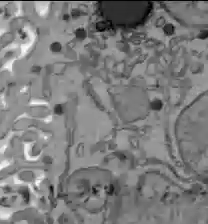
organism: C57BL Mouse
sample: Liver